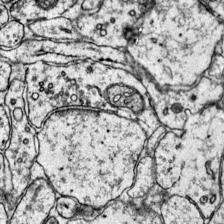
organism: Mouse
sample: Primary visual cortex